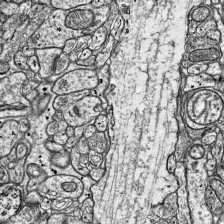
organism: Mouse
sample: Visual Cortex